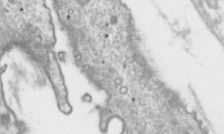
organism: Toxoplasma gondii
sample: Parasites in a vacuole inside a host cell